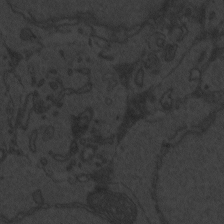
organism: Zebrafish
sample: Macrophage infected with Toxoplasma gondii